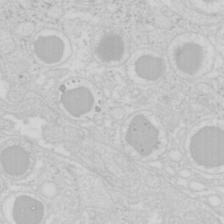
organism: Mouse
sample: Pancreas